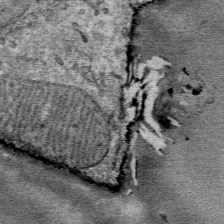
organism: Mouse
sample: Mouse Salivary gland